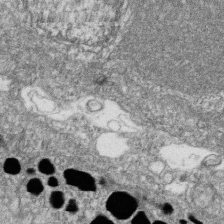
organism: Zebrafish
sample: Cilia; retinal pigment epithelium